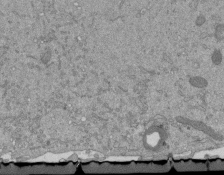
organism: Mouse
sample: ED-1 cell nuclei; centrioles